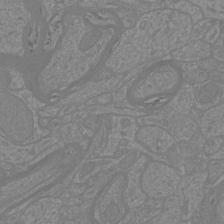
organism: Mouse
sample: Cortical neurons